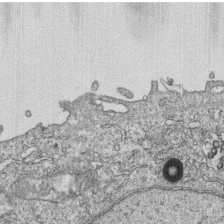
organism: Human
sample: HeLa cell HIV synapse